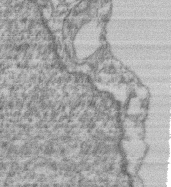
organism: Mouse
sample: T cell stromal cell synapse